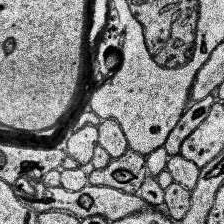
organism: Human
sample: Temporal Lobe